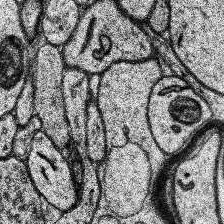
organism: Human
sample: Temporal Lobe